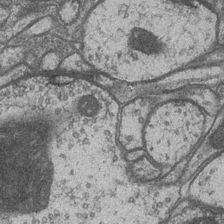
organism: Drosophila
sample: Optic medulla